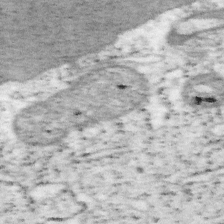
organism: Mouse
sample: OT-I killer T cells with ID8 ovarian cancer cells